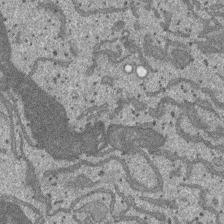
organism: Human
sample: Lung epithelial cells infected with SARS-CoV-2